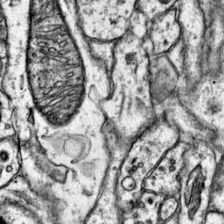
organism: Mouse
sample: Primary visual cortex